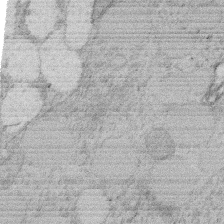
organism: Rat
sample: Salivary granule